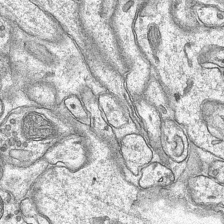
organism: Mouse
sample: CA1 Hippocampus